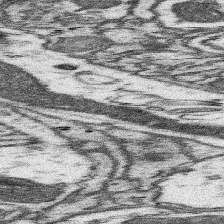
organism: Mouse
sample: Somatosensory cortex neuropil